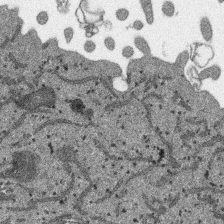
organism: Human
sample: Lung epithelial cells infected with SARS-CoV-2